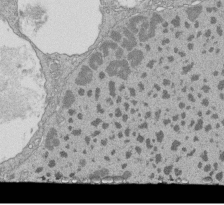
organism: Tetrahymena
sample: Cilia in tetrahymena